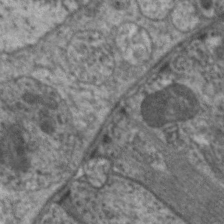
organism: C. elegans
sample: Pharynx